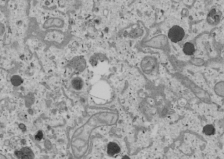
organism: Human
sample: Mitochondria in U2OS cells